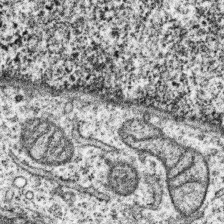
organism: Human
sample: HeLa cells